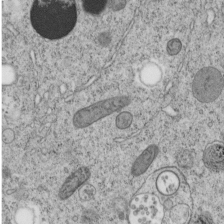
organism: C. elegans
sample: C. elegans embryo early stage